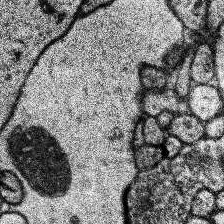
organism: Human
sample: Temporal Lobe